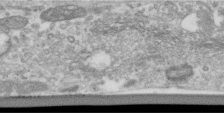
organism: Human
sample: Centriole in RPE cells